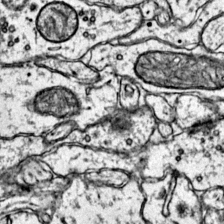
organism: Mouse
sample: Primary visual cortex